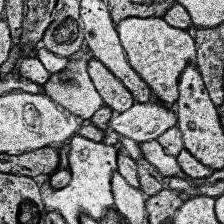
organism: Human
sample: Temporal Lobe